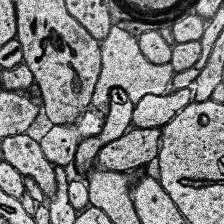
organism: Human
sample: Temporal Lobe